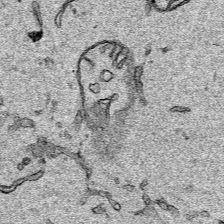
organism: Human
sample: Mitochondria in HCT116 cells